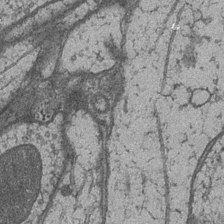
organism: Drosophila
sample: Optic medulla